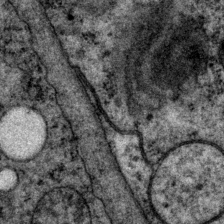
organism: P. pacificus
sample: Pharynx